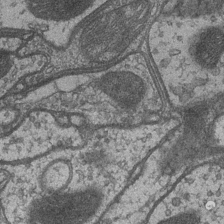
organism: Drosophila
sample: Optic medulla